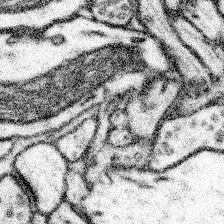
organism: Mouse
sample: Somatosensory cortex neuropil